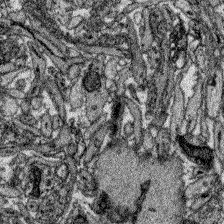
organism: Zebrafish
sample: Larval olfactory bulb